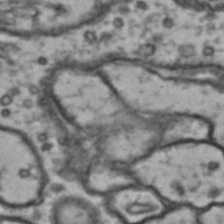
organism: Drosophila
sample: Brain